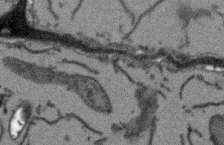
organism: Arabidopsis thaliana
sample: Root tip